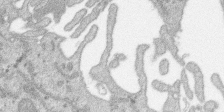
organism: Human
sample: Lung epithelial cells infected with SARS-CoV-2